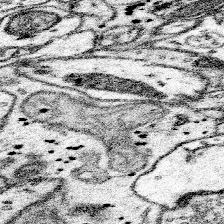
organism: Mouse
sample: Somatosensory cortex neuropil